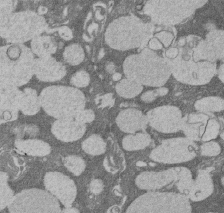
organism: Rat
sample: Salivary granule